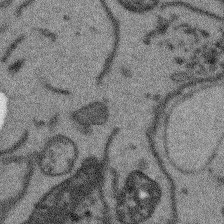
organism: Arabidopsis thaliana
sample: Root tip